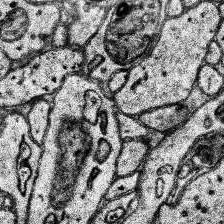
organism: Human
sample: Temporal Lobe